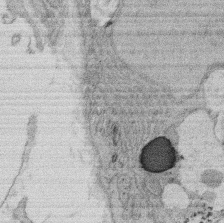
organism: Rat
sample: Salivary granule